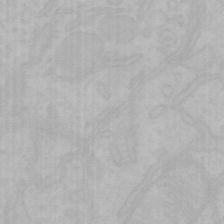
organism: Mouse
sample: Choroid plexus